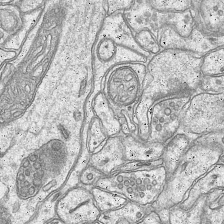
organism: Mouse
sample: CA1 Hippocampus